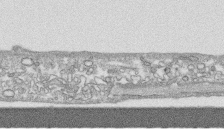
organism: Human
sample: CRL-1474